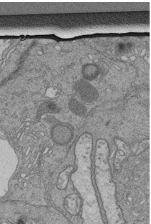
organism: Human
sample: Retinal organoid Rod and Cone cells